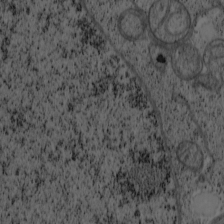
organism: African green monkey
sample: COS-7 cells